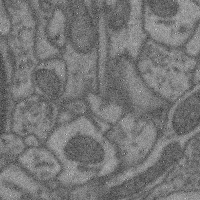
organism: Mouse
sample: Cerebral cortex